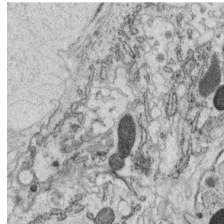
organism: C. elegans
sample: C. elegans oocyte; sperm cells